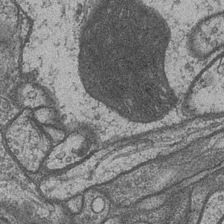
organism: Drosophila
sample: Optic medulla